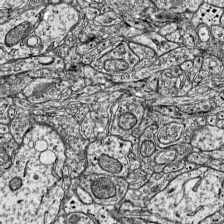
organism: Mouse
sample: Visual Cortex